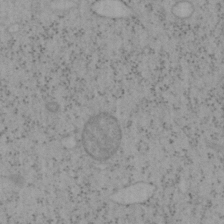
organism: Mouse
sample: OT-I killer T cells with ID8 ovarian cancer cells